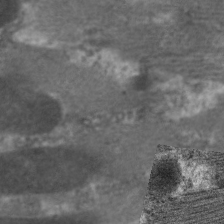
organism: C. elegans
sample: Pharynx